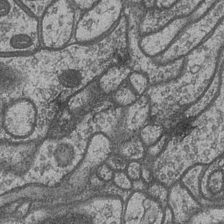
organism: Drosophila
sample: Optic medulla